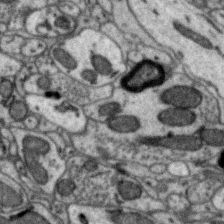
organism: Zebra finch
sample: Brain